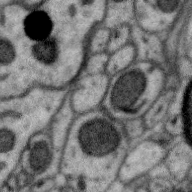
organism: Zebra finch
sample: Brain